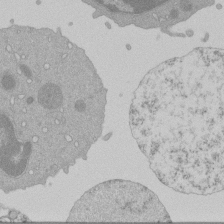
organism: Mouse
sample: Activated Pmel transgenic CD8+ T Cells